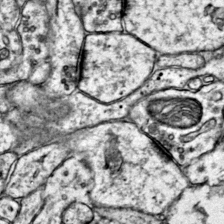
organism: Mouse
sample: Primary visual cortex